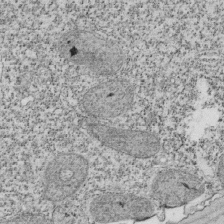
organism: Tetrahymena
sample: Cilia in tetrahymena